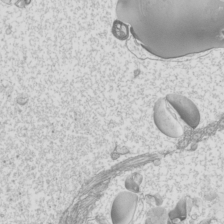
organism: Mouse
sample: Cilia; mouse epididymis